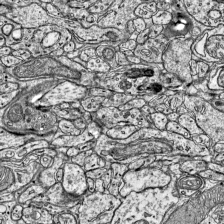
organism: Mouse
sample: Visual Cortex